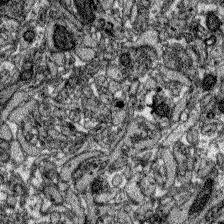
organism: Zebrafish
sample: Larval olfactory bulb